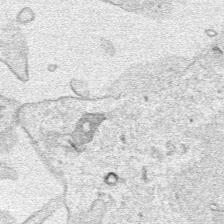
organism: Human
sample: Mitochondria in HCT116 cells